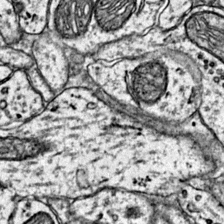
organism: Mouse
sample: Primary visual cortex